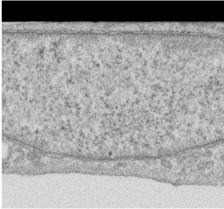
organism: Human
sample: Centriole in RPE cells